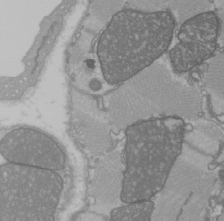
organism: C57BL Mouse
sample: Heart